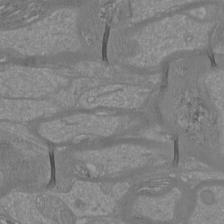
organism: Mouse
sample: Cortical neurons